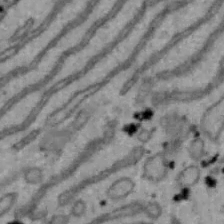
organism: Mouse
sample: Liver